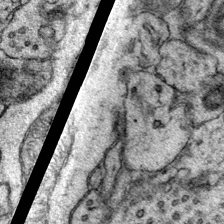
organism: Mouse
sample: Primary visual cortex